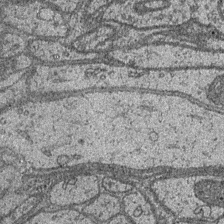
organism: Drosophila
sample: Optic medulla